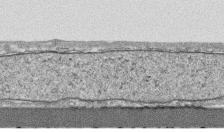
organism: Human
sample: CRL-1474